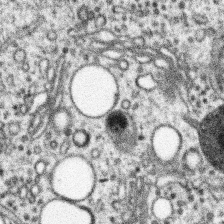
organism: Human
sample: HeLa cells